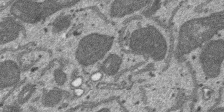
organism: Human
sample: Lung epithelial cells infected with SARS-CoV-2